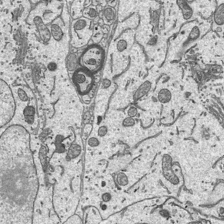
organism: Mouse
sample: Suprachiasmatic nucleus